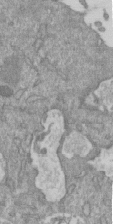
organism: Mouse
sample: ED-1 cell nuclei; centrioles